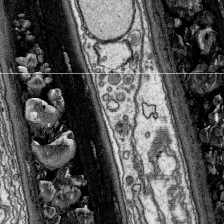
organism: Platynereis dumerilii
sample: Parapodia